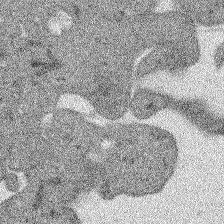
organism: Human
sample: HeLa cells